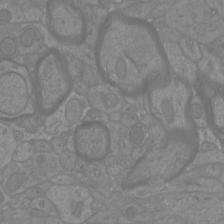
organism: Mouse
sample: Cortical neurons